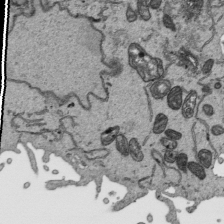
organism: Human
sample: Mitochondria in HCT116 cells